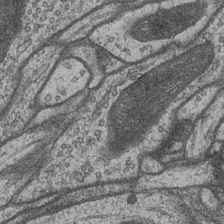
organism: Drosophila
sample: Optic medulla